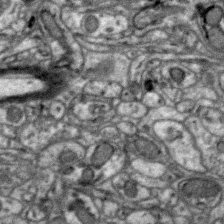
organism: Zebra finch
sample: Brain